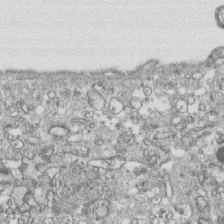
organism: Human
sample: CRL-1474